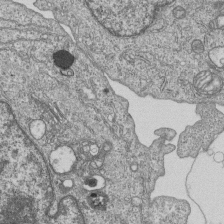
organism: Human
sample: MDA-MB-231 cells